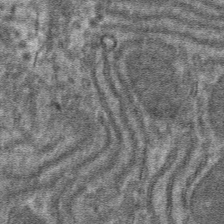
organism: Mouse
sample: Mouse hepatocytes